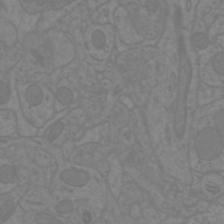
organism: Mouse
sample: Cortical neurons